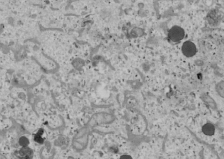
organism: Human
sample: Mitochondria in U2OS cells